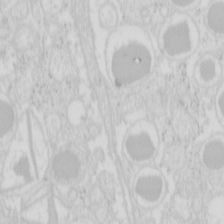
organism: Mouse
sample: Pancreas